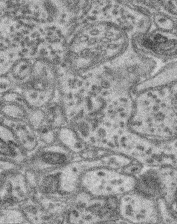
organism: Mouse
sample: Retina